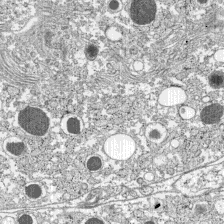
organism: C57BL Mouse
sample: Pancreatic islet